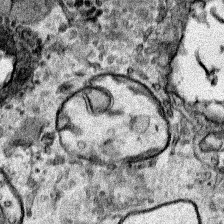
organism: Human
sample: Mitochondria in HCT116 cells